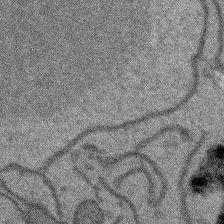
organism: Arabidopsis thaliana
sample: Root tip